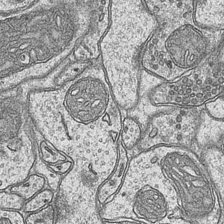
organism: Mouse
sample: CA1 Hippocampus